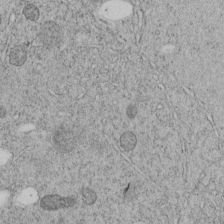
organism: C. elegans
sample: C. elegans embryo early stage